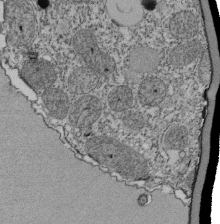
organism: Tetrahymena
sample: Cilia in tetrahymena